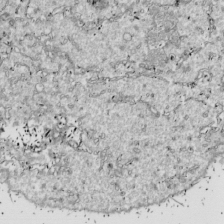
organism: Drosophila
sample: Cell division; meiosis; drosophila spermatocytes